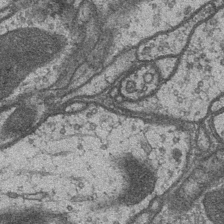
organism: Drosophila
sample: Optic medulla